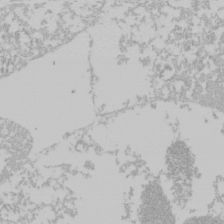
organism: Mouse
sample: Cancer cell death in ED-1 cells